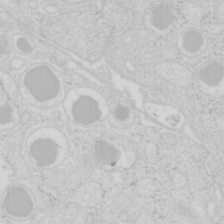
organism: Mouse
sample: Pancreas